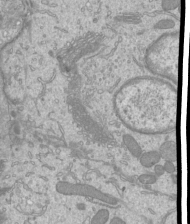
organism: Mouse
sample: Cilia; mouse epididymis